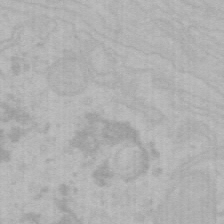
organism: Mouse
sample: Choroid plexus